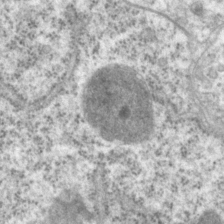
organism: P. pacificus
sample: Pharynx